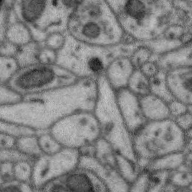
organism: Zebra finch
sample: Brain